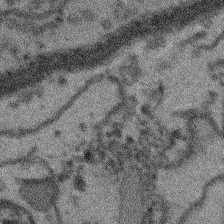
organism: Arabidopsis thaliana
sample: Root tip